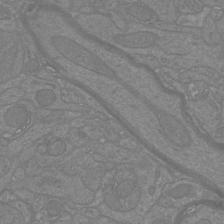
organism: Mouse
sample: Cortical neurons